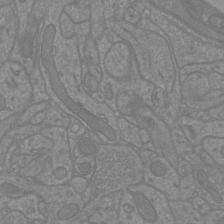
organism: Mouse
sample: Cortical neurons